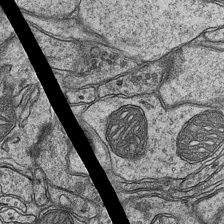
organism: Mouse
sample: CA1 Hippocampus